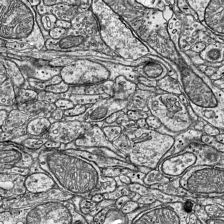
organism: Mouse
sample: Visual Cortex